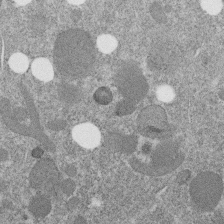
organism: C. elegans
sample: C. elegans embryo early stage